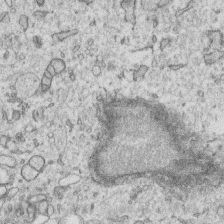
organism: Human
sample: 1205lu cells